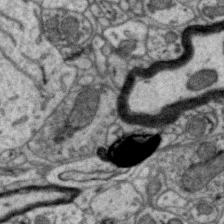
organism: Zebra finch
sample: Brain